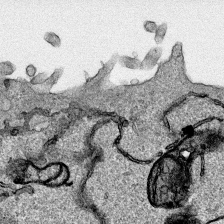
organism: Human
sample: Mitochondria in HCT116 cells